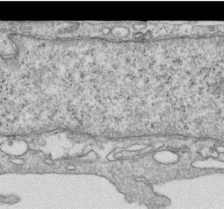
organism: Human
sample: Centriole in RPE cells